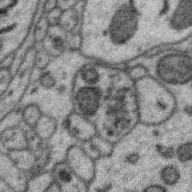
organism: Zebra finch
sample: Brain